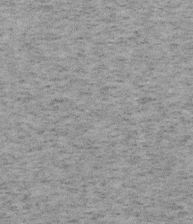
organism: Mouse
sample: OT-I killer T cells with ID8 ovarian cancer cells